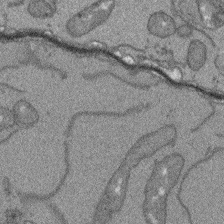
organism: Arabidopsis thaliana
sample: Root tip